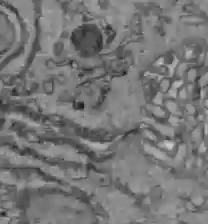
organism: C57BL Mouse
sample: Liver